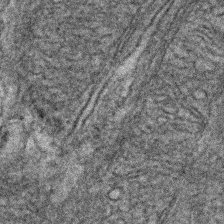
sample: Kidney